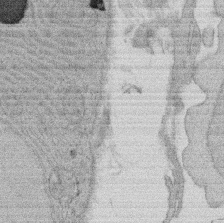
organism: Rat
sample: Salivary granule